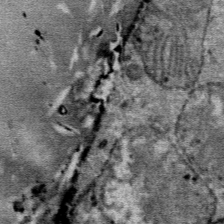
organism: Mouse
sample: Mouse Salivary gland